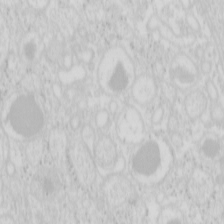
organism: Mouse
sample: Pancreas